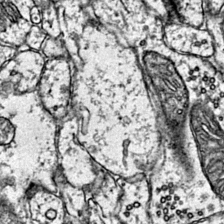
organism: Mouse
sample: Primary visual cortex